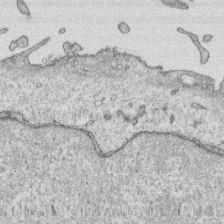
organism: Human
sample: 1205lu cells